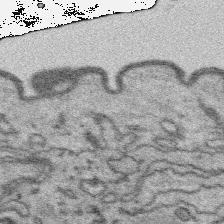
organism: Platynereis dumerilii